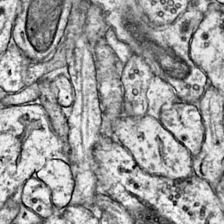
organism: Mouse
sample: Primary visual cortex